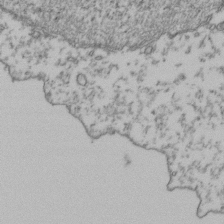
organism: Human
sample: Activated Jurkat CD4+ T cells